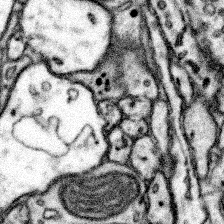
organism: Mouse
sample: Somatosensory cortex neuropil